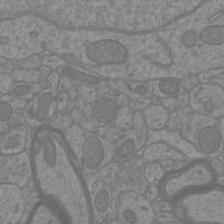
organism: Mouse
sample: Cortical neurons